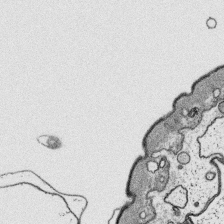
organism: Platynereis dumerilii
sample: Parapodia